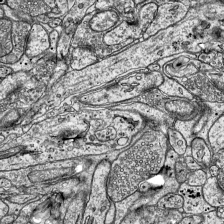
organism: Mouse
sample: Visual Cortex